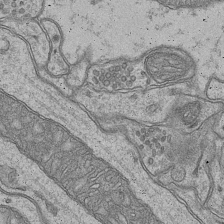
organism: Mouse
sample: CA1 Hippocampus